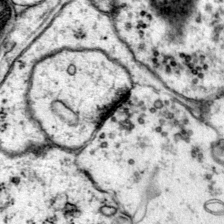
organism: Mouse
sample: Primary visual cortex